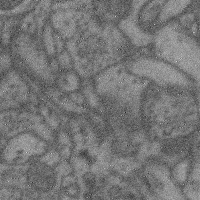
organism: Mouse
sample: Cerebral cortex